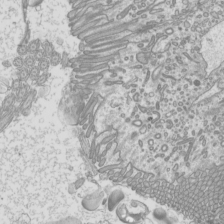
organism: Mouse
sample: Cilia; mouse epididymis